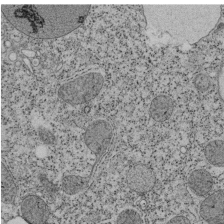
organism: Tetrahymena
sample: Cilia in tetrahymena